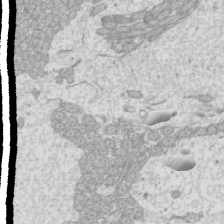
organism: Mouse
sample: Cilia; mouse epididymis